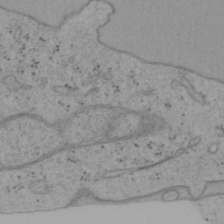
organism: Human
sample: HeLa cells